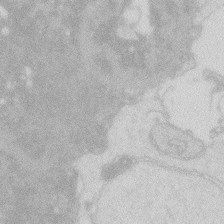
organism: Zebrafish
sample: Macrophage